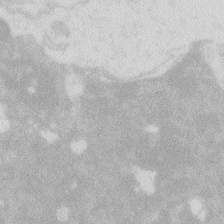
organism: Zebrafish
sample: Macrophage